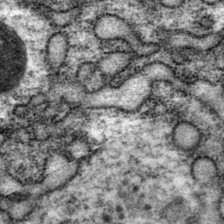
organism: P. pacificus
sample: Pharynx